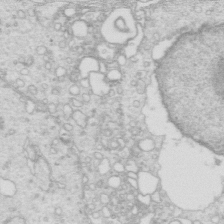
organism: Mouse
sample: Multiciliated cells